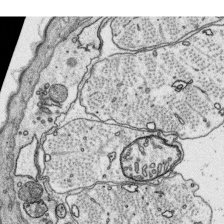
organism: Platynereis dumerilii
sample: Parapodia